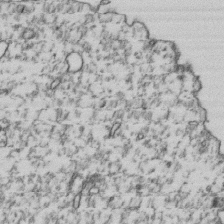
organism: Human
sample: Activated Jurkat CD4+ T cells